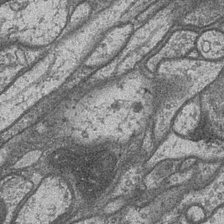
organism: Drosophila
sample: Optic medulla